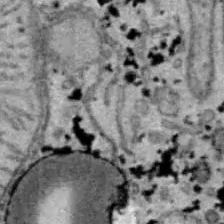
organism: Mouse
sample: Liver from an obese (ob/ob) mouse